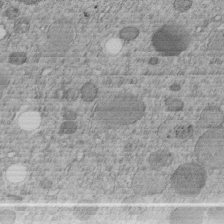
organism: C. elegans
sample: C. elegans embryo early stage